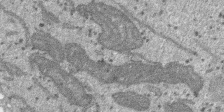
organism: Human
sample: Lung epithelial cells infected with SARS-CoV-2